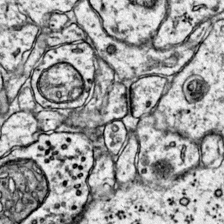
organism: Mouse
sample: Primary visual cortex